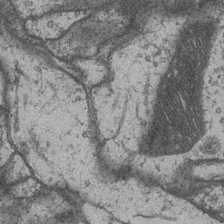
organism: Drosophila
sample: Optic medulla